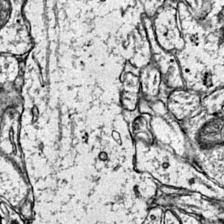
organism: Mouse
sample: Primary visual cortex